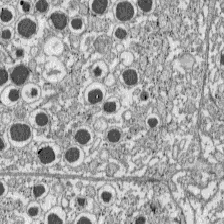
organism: C57BL Mouse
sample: Pancreatic islet